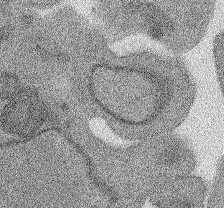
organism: Human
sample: HeLa cells